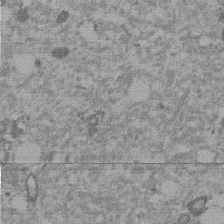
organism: Mouse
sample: Dividing mouse embryo 1 cell stage